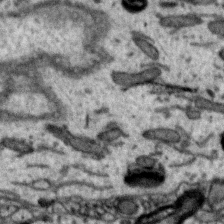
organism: Zebra finch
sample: Brain